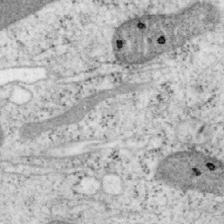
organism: Mouse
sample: OT-I killer T cells with ID8 ovarian cancer cells